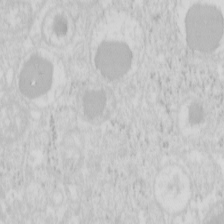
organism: Mouse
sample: Pancreas